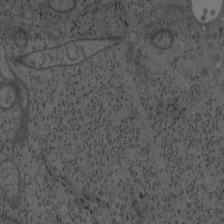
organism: Mouse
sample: OT-I killer T cells with ID8 ovarian cancer cells